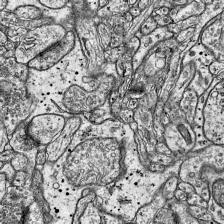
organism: Mouse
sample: Visual Cortex